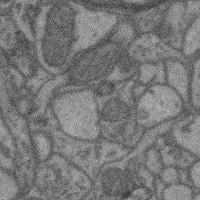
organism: Mouse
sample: Cerebral cortex